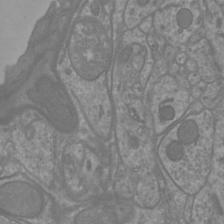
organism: Mouse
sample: Cortical neurons